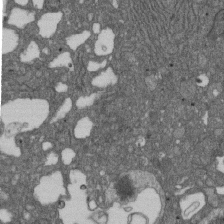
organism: Drosophila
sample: Nephrocyte